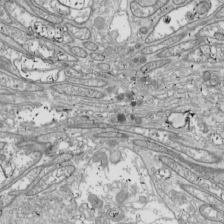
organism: Drosophila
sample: Cell division; meiosis; drosophila spermatocytes